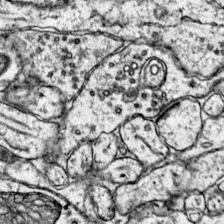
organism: Mouse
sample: Primary visual cortex